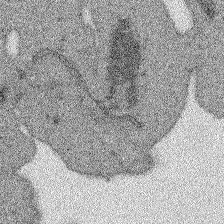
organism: Human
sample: HeLa cells